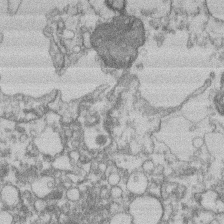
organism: Mouse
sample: T cell stromal cell synapse